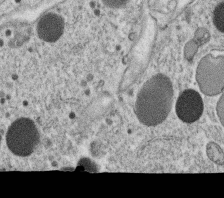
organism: C. elegans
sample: C. elegans oocyte; sperm cells